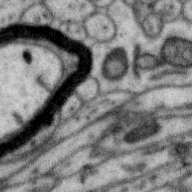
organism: Zebra finch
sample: Brain